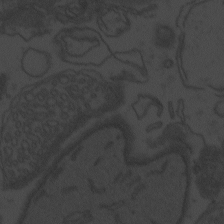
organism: Zebrafish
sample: Macrophage infected with Toxoplasma gondii